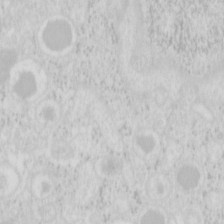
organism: Mouse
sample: Pancreas